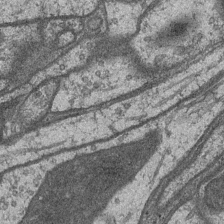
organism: Drosophila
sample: Optic medulla